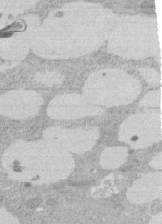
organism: Rat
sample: Salivary granule